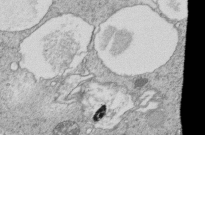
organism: Tetrahymena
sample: Cilia in tetrahymena